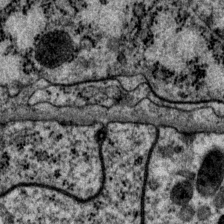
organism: P. pacificus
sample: Pharynx